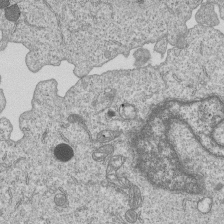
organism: Human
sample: MDA-MB-231 cells